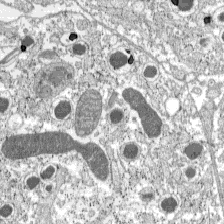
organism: C57BL Mouse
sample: Pancreatic islet